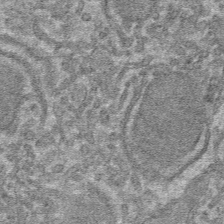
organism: Mouse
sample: Mouse hepatocytes